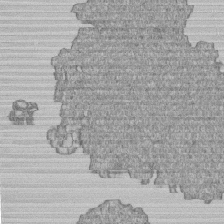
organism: Human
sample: MDA-MB-231 cells